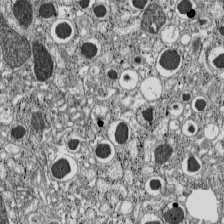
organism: C57BL Mouse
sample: Pancreatic islet